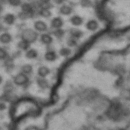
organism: Drosophila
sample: Brain